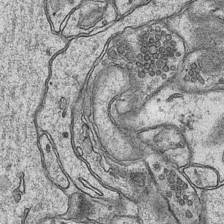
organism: Mouse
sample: CA1 Hippocampus